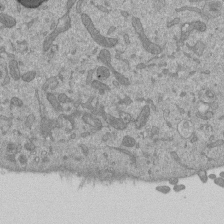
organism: Mouse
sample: ED-1 cell nuclei; centrioles